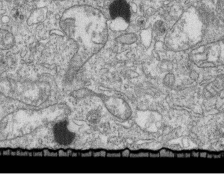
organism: Human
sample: HeLa cell HIV synapse